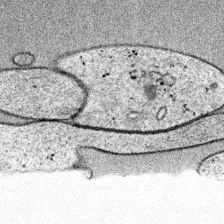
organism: Human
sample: HeLa cells